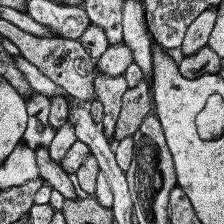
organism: Human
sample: Temporal Lobe